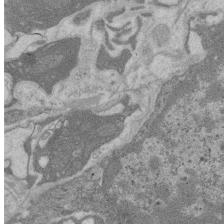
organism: Rat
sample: Salivary granule